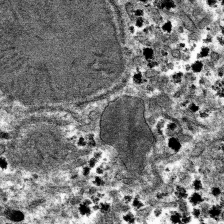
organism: Mouse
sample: Mouse hepatocytes